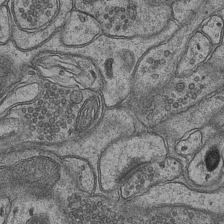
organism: Mouse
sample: CA1 Hippocampus